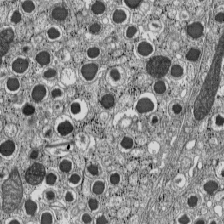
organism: C57BL Mouse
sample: Pancreatic islet